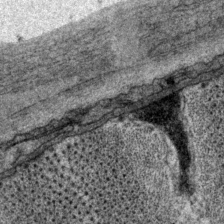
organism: P. pacificus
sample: Pharynx